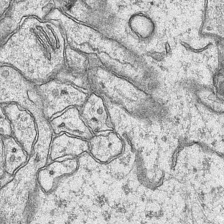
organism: Mouse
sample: CA1 Hippocampus